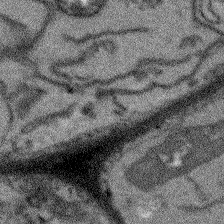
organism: Arabidopsis thaliana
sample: Root tip